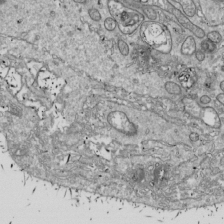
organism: Drosophila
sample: Cell division; meiosis; drosophila spermatocytes